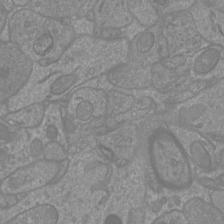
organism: Mouse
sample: Cortical neurons